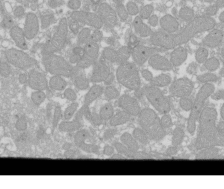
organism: Xenopus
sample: Cilia; centrioles in frog embryo cells